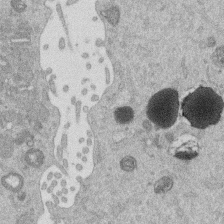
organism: Mouse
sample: Dividing mouse embryo 1 cell stage